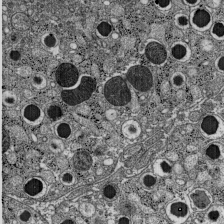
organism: C57BL Mouse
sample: Pancreatic islet